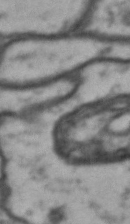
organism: Drosophila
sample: Brain